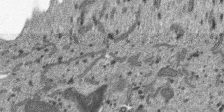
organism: Human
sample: Lung epithelial cells infected with SARS-CoV-2